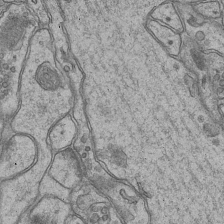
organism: Mouse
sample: CA1 Hippocampus